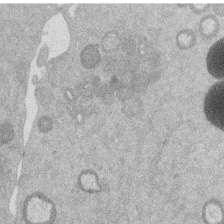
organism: Mouse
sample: Dividing mouse embryo 1 cell stage